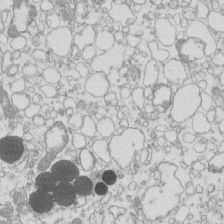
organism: Mouse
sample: Macrophages